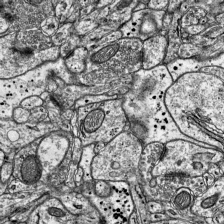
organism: Mouse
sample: Visual Cortex